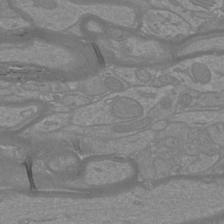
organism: Mouse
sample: Cortical neurons